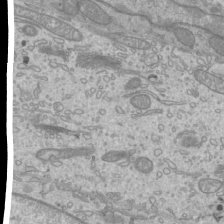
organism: Mouse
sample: Cilia; mouse epididymis